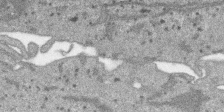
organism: Human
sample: Lung epithelial cells infected with SARS-CoV-2